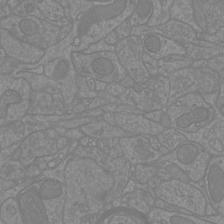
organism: Mouse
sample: Cortical neurons